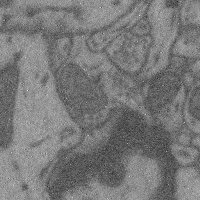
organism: Mouse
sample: Cerebral cortex